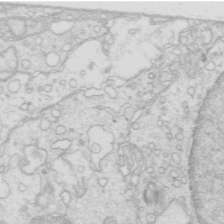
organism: Mouse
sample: Multiciliated cells